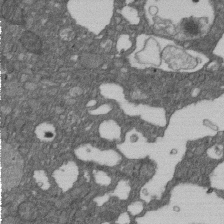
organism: Drosophila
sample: Nephrocyte